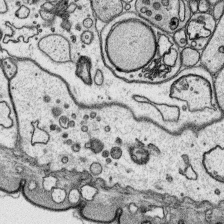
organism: Platynereis dumerilii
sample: Parapodia